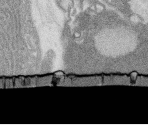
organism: Rat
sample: Salivary granule